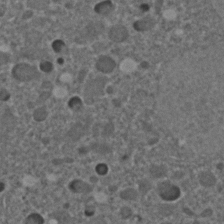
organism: C. elegans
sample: C. elegans embryo